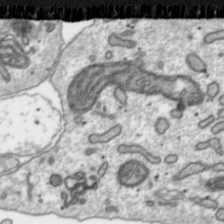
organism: Toxoplasma gondii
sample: Parasites in a vacuole inside a host cell